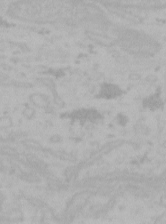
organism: Mouse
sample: Choroid plexus